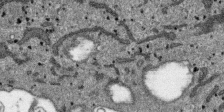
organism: Human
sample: Lung epithelial cells, uninfected (mock) control